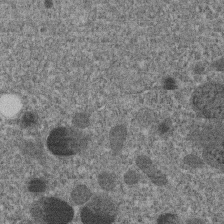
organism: C. elegans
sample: C. elegans embryo early stage